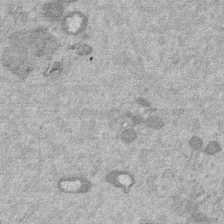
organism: Mouse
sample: Dividing mouse embryo 1 cell stage